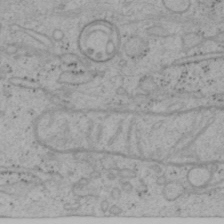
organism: Human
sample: HeLa cells